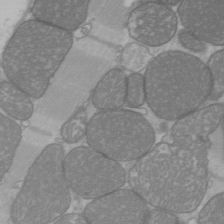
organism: C57BL Mouse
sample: Heart